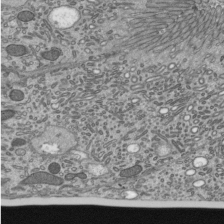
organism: Mouse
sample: Mouse epididymis efferent ductule cilia